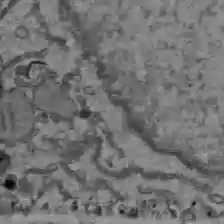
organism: C57BL Mouse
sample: Liver